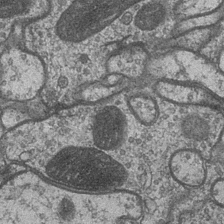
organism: Drosophila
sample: Optic medulla